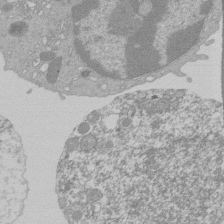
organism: Mouse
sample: Activated Pmel transgenic CD8+ T Cells